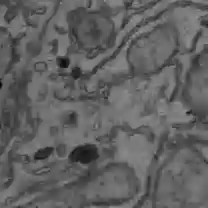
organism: C57BL Mouse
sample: Liver